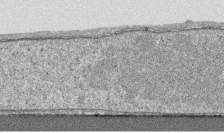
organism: Human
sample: CRL-1474